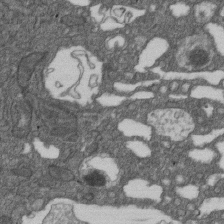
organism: Drosophila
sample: Nephrocyte